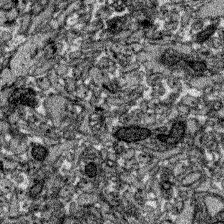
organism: Zebrafish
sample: Larval olfactory bulb